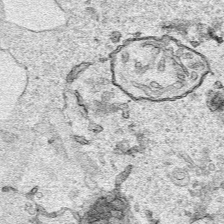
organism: Human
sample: Mitochondria in HCT116 cells